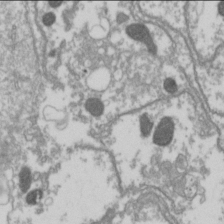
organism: Drosophila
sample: Cell division; meiosis; drosophila spermatocytes